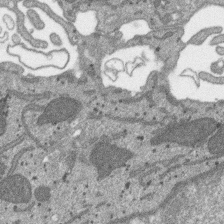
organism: Human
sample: Lung epithelial cells infected with SARS-CoV-2